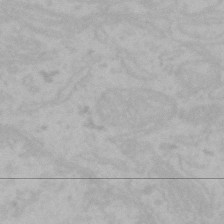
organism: Mouse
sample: Choroid plexus